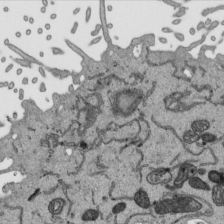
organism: Human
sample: Mitochondria in HCT116 cells